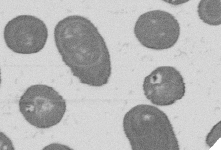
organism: B. subtilis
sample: Bacterial spore